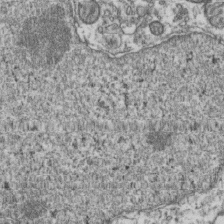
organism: Human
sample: Activated Jurkat CD4+ T cells